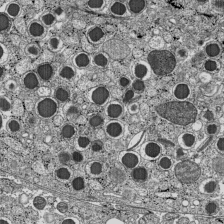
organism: C57BL Mouse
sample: Pancreatic islet